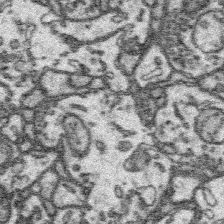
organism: Platynereis dumerilii